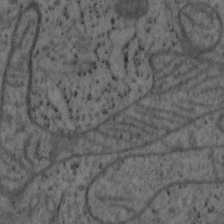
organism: Human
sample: HeLa cells